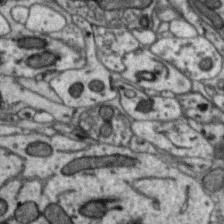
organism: Zebra finch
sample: Brain